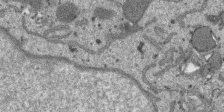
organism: Human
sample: Lung epithelial cells infected with SARS-CoV-2